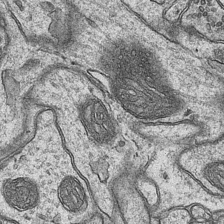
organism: Mouse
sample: CA1 Hippocampus